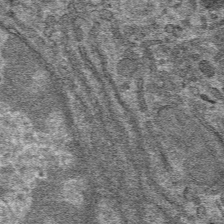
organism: Mouse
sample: Mouse hepatocytes